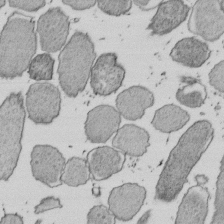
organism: E. coli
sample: Bacterial nucleoid